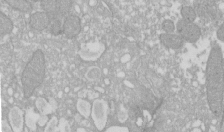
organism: Xenopus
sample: Cilia; centrioles in frog embryo cells